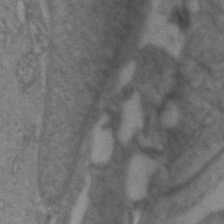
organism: Zebrafish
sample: Zebrafish embryo